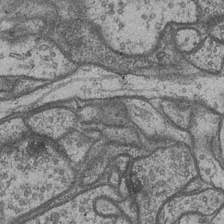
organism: Drosophila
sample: Optic medulla